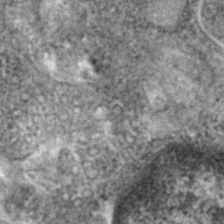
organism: Human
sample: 1205lu cells